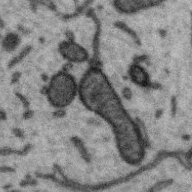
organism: Zebra finch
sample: Brain